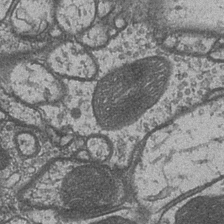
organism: Drosophila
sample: Optic medulla